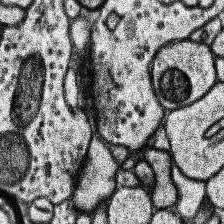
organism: Human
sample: Temporal Lobe